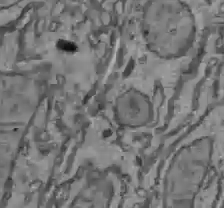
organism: C57BL Mouse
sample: Liver